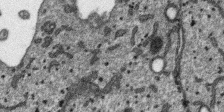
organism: Human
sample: Lung epithelial cells infected with SARS-CoV-2